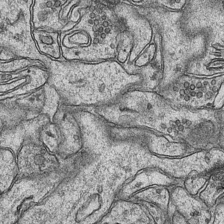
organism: Mouse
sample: CA1 Hippocampus